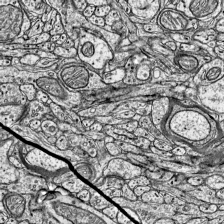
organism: Mouse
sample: Visual Cortex